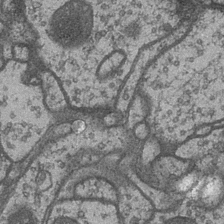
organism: Drosophila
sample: Optic medulla